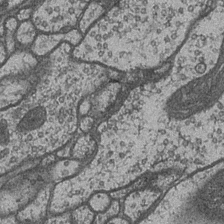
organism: Drosophila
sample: Optic medulla